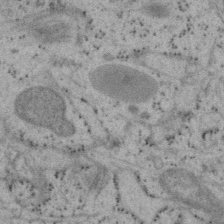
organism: Human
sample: HeLa cells